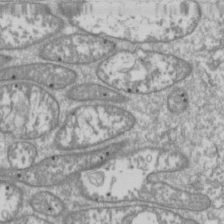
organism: Drosophila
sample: Cell division; meiosis; drosophila spermatocytes